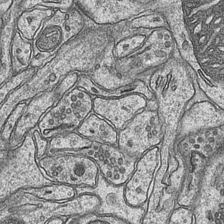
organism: Mouse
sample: CA1 Hippocampus